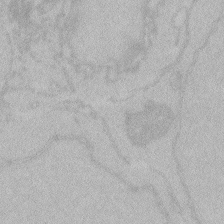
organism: Zebrafish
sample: Macrophage infected with Toxoplasma gondii